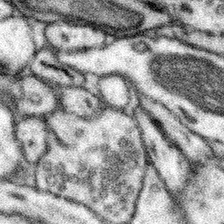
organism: Mouse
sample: Somatosensory cortex neuropil